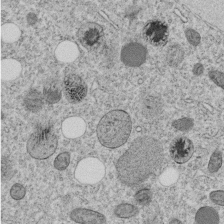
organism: C. elegans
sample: C. elegans embryo early stage